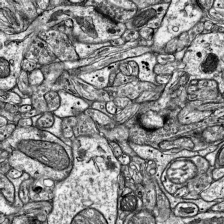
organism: Mouse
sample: Visual Cortex